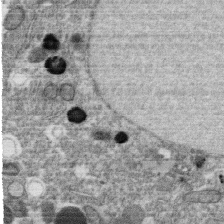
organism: C. elegans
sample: C. elegans oocyte; sperm cells